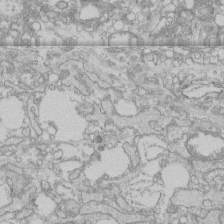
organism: Human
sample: CRL-1474